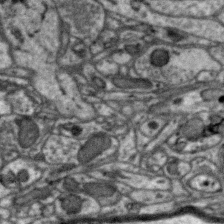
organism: Zebra finch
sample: Brain